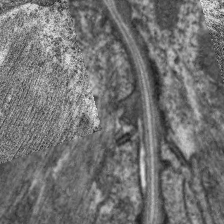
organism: C. elegans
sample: Pharynx